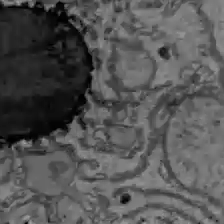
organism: C57BL Mouse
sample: Liver